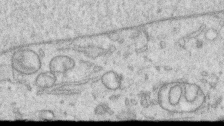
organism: Human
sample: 1205lu cells